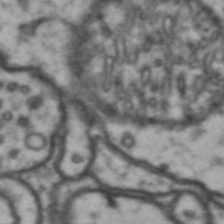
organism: Drosophila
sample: Brain